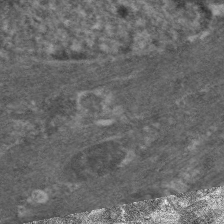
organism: C. elegans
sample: Pharynx